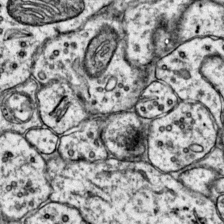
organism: Mouse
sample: Primary visual cortex